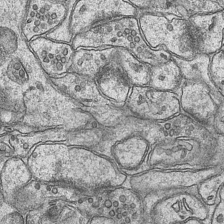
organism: Mouse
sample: CA1 Hippocampus